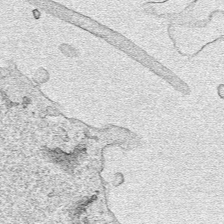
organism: Human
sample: Mitochondria in HCT116 cells